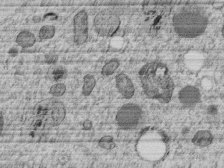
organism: C. elegans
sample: C. elegans embryo early stage